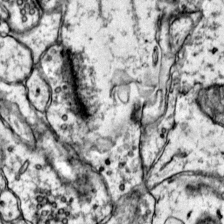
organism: Mouse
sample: Primary visual cortex